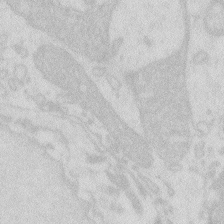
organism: Zebrafish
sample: Macrophage